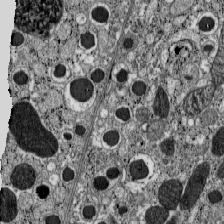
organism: C57BL Mouse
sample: Pancreatic islet